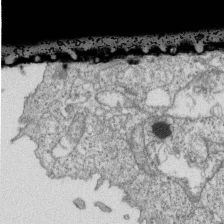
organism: Human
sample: HeLa cell HIV synapse